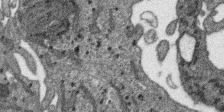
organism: Human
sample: Lung epithelial cells infected with SARS-CoV-2